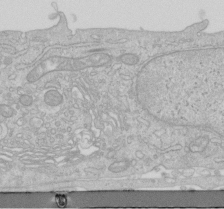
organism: Human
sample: Centriole in RPE cells